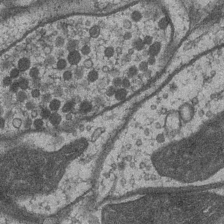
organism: Drosophila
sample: Optic medulla